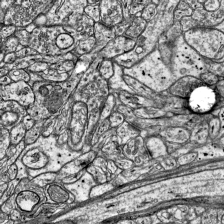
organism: Mouse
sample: Visual Cortex